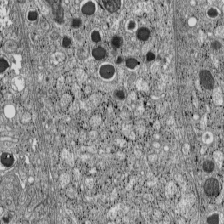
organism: C57BL Mouse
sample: Pancreatic islet